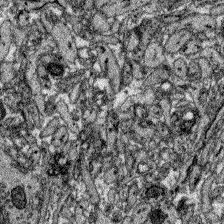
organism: Zebrafish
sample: Larval olfactory bulb